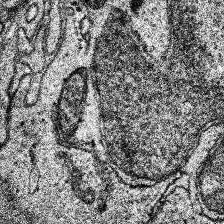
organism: Human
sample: Temporal Lobe